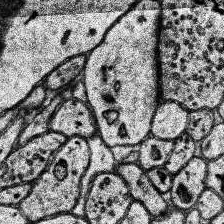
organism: Human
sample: Temporal Lobe